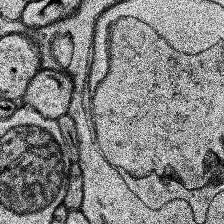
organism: Human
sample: Temporal Lobe